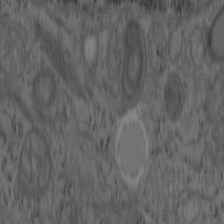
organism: Human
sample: HeLa cells